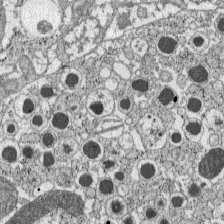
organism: C57BL Mouse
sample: Pancreatic islet